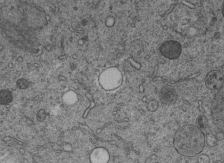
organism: C. elegans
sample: C. elegans embryo early stage